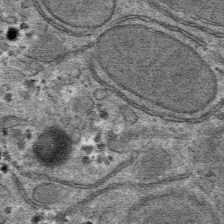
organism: Mouse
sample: Mouse hepatocytes